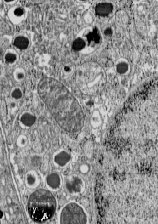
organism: C57BL Mouse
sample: Pancreatic islet